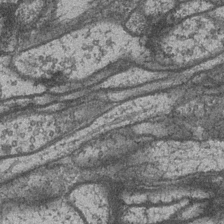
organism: Drosophila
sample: Optic medulla